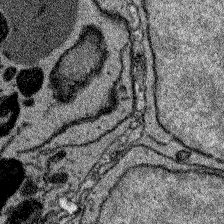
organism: Zebrafish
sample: Larval olfactory bulb